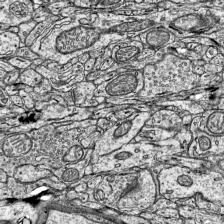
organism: Mouse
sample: Visual Cortex